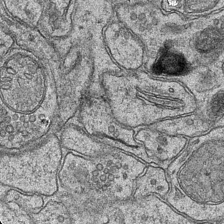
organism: Mouse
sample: CA1 Hippocampus